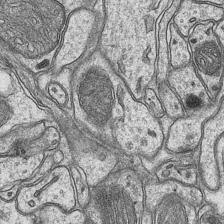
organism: Mouse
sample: CA1 Hippocampus